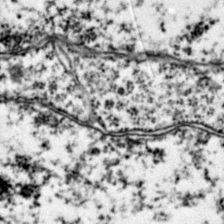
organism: Mouse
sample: Primary visual cortex